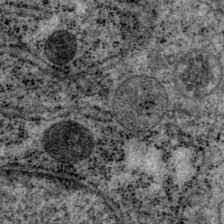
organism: P. pacificus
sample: Pharynx